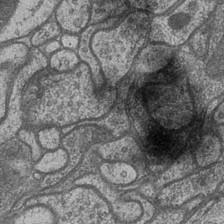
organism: Drosophila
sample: Optic medulla